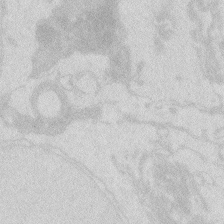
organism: Zebrafish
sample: Macrophage